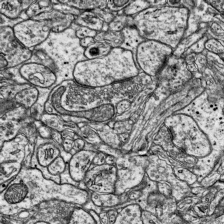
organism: Mouse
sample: Visual Cortex